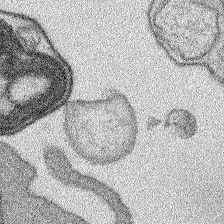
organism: Human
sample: HeLa cells